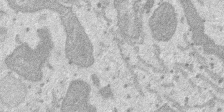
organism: Human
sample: Lung epithelial cells infected with SARS-CoV-2